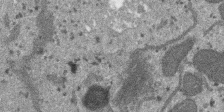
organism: Human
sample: Lung epithelial cells infected with SARS-CoV-2